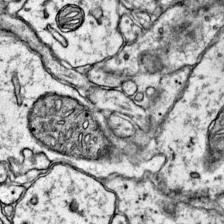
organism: Mouse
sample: Primary visual cortex